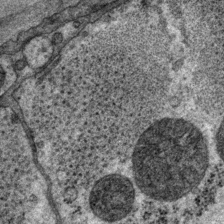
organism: P. pacificus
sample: Pharynx